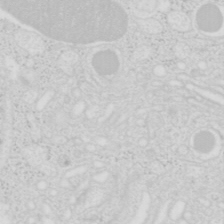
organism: Mouse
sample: Pancreas